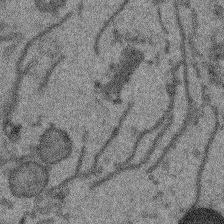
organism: Arabidopsis thaliana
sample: Root tip